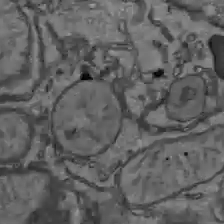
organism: C57BL Mouse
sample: Liver